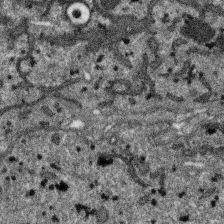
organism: Human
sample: Lung epithelial cells infected with SARS-CoV-2